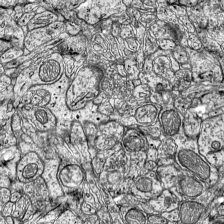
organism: Mouse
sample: Visual Cortex